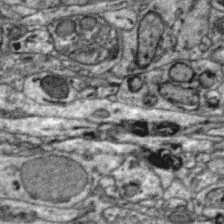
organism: Zebra finch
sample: Brain